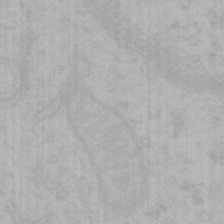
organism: Mouse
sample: Choroid plexus